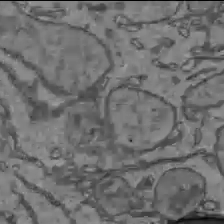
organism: C57BL Mouse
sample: Liver